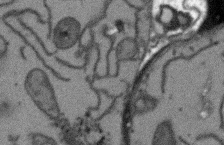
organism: Arabidopsis thaliana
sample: Root tip